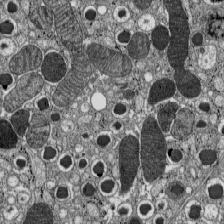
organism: C57BL Mouse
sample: Pancreatic islet